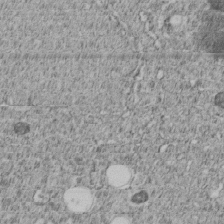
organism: C. elegans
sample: C. elegans embryo early stage